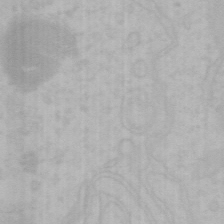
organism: Mouse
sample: Choroid plexus